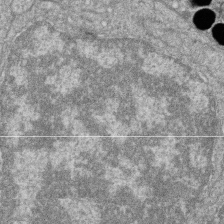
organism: Zebrafish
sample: Cilia; retinal pigment epithelium